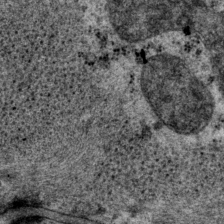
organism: P. pacificus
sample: Pharynx